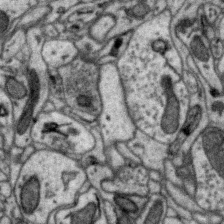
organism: Zebra finch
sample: Brain